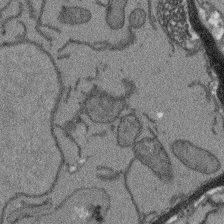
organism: Arabidopsis thaliana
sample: Root tip